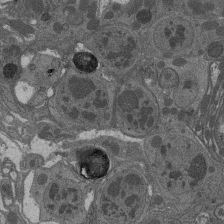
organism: Drosophila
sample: Antenna